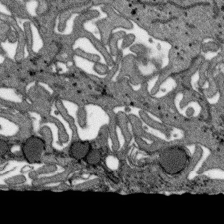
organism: Human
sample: Lung epithelial cells, uninfected (mock) control